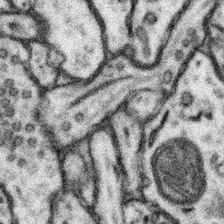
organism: Mouse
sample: Somatosensory cortex neuropil